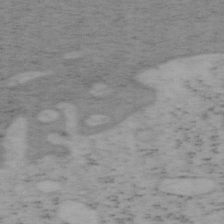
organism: Mouse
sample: OT-I killer T cells with ID8 ovarian cancer cells